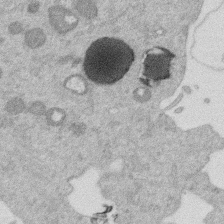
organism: Mouse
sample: Dividing mouse embryo 1 cell stage